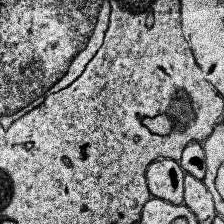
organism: Human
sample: Temporal Lobe